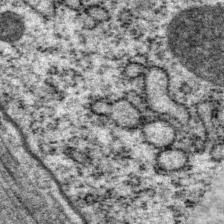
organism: P. pacificus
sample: Pharynx